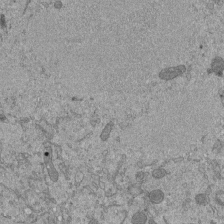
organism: Mouse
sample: ED-1 cell nuclei; centrioles